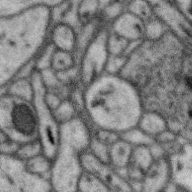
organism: Zebra finch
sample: Brain